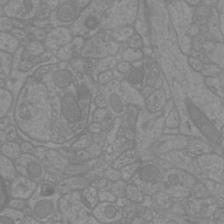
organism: Mouse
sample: Cortical neurons